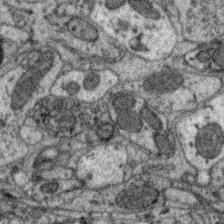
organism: Zebra finch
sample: Brain